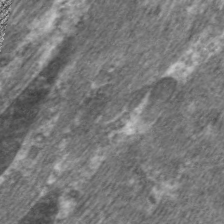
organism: C. elegans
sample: Pharynx